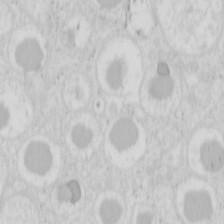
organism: Mouse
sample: Pancreas